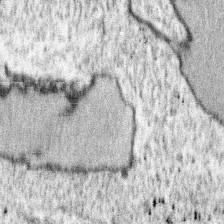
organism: Human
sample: HeLa cells